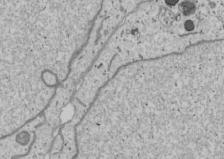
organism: Human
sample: Mitochondria in U2OS cells